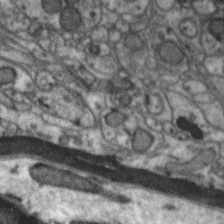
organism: Zebra finch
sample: Brain